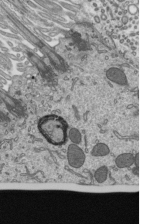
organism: Mouse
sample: Mouse epididymis efferent ductule cilia